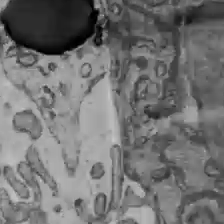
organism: C57BL Mouse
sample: Liver